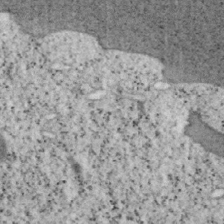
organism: Mouse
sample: OT-I killer T cells with ID8 ovarian cancer cells